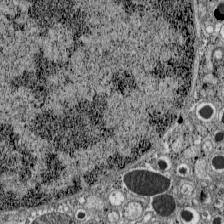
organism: C57BL Mouse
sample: Pancreatic islet